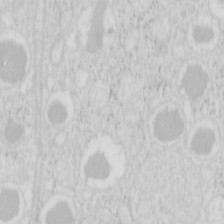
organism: Mouse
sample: Pancreas